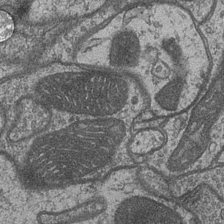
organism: Drosophila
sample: Optic medulla